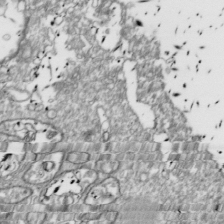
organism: Drosophila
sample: Cell division; meiosis; drosophila spermatocytes